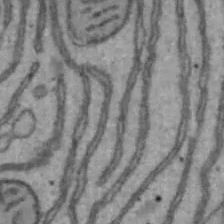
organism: Mouse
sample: Liver